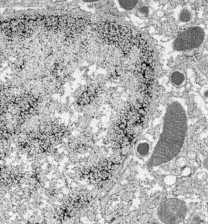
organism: C57BL Mouse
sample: Pancreatic islet